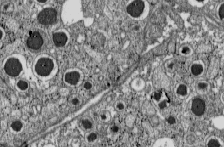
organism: C57BL Mouse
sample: Pancreatic islet